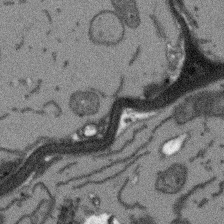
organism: Arabidopsis thaliana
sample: Root tip